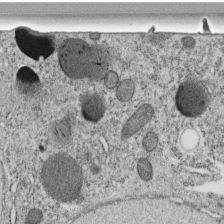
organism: C. elegans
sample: C. elegans embryo early stage